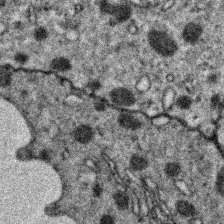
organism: Zebrafish